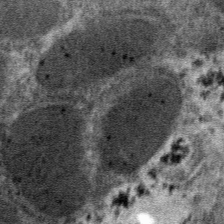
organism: Mouse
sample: Mouse hepatocytes